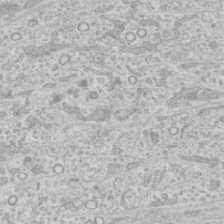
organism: Human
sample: CRL-1474